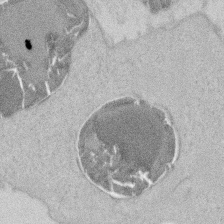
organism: Mouse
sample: T cell stromal cell synapse